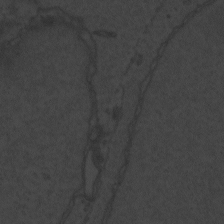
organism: Zebrafish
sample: Macrophage infected with Toxoplasma gondii